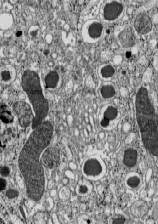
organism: C57BL Mouse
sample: Pancreatic islet